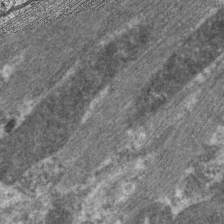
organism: C. elegans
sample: Pharynx